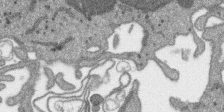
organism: Human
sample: Lung epithelial cells infected with SARS-CoV-2